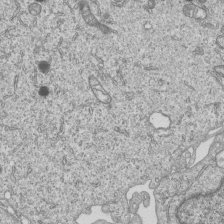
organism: Human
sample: MDA-MB-231 cells